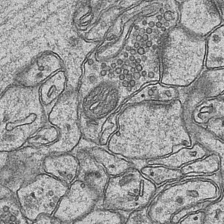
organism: Mouse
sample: CA1 Hippocampus